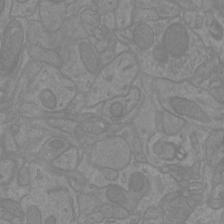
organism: Mouse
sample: Cortical neurons